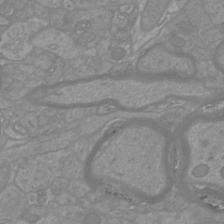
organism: Mouse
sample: Cortical neurons